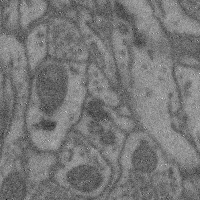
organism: Mouse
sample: Cerebral cortex